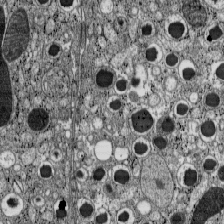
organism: C57BL Mouse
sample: Pancreatic islet